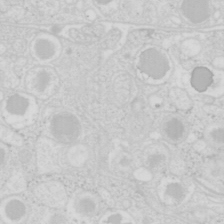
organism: Mouse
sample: Pancreas